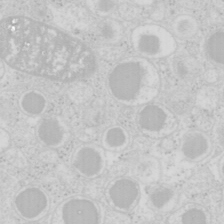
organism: Mouse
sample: Pancreas